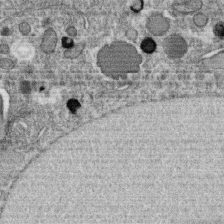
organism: C. elegans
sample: C. elegans oocyte; sperm cells